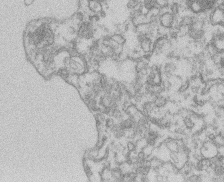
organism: Mouse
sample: T cell stromal cell synapse